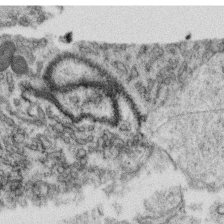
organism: C. elegans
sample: C. elegans oocyte; sperm cells